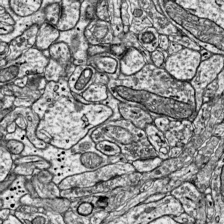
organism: Mouse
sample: Visual Cortex